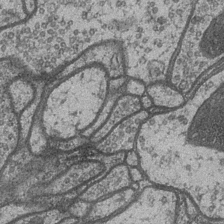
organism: Drosophila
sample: Optic medulla